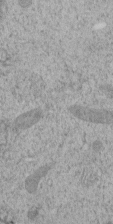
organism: C. elegans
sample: C. elegans embryo early stage